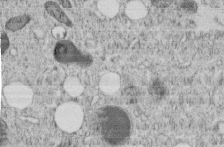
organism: C. elegans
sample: C. elegans embryo early stage